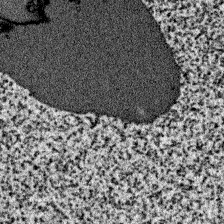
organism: Zebrafish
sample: Larval olfactory bulb